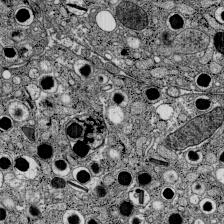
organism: C57BL Mouse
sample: Pancreatic islet